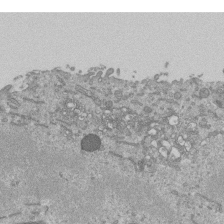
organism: Mouse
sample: ED-1 cell nuclei; centrioles